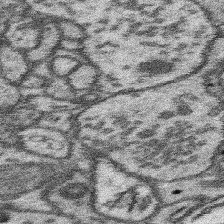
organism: Mouse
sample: Somatosensory cortex neuropil